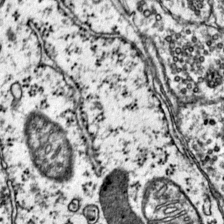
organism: Mouse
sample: Primary visual cortex